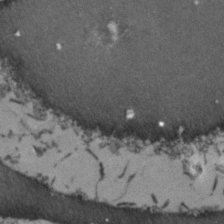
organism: Zebrafish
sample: Zebrafish embryo